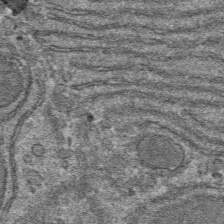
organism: Mouse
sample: Mouse hepatocytes